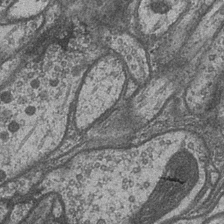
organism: Drosophila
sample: Optic medulla